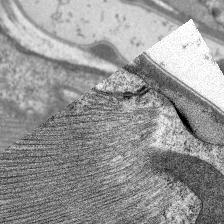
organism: C. elegans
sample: Pharynx